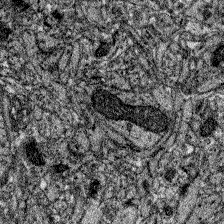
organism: Zebrafish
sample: Larval olfactory bulb